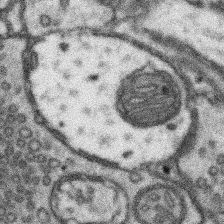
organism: Mouse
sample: Somatosensory cortex neuropil